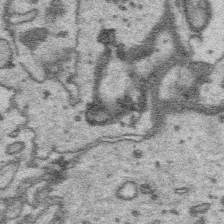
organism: Platynereis dumerilii